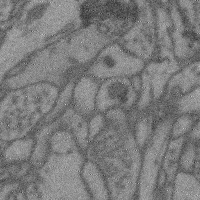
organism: Mouse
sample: Cerebral cortex